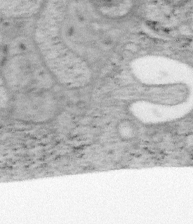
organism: Mouse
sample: OT-I killer T cells with ID8 ovarian cancer cells